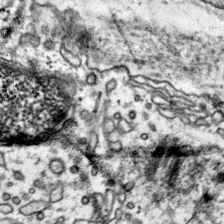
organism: Mouse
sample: Primary visual cortex